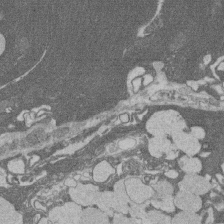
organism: Rat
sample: Salivary granule